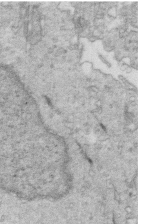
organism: Mouse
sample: Multiciliated cells